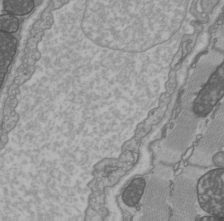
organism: C57BL Mouse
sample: Heart